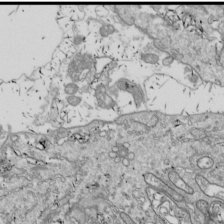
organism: Drosophila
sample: Cell division; meiosis; drosophila spermatocytes